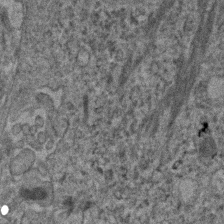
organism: Human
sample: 1205lu cells